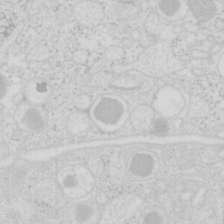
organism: Mouse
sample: Pancreas